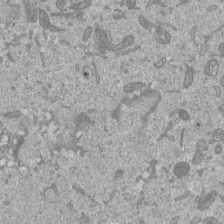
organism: Mouse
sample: ED-1 cell nuclei; centrioles